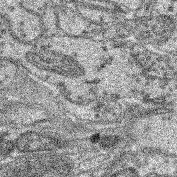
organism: Mouse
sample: Retina